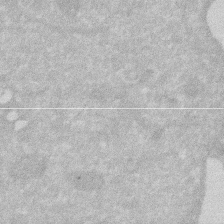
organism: Human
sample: HIV infected U937 cells